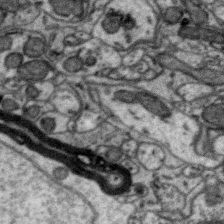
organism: Zebra finch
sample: Brain